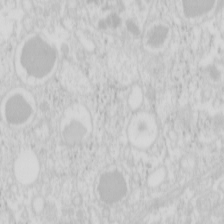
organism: Mouse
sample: Pancreas